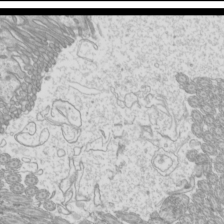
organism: Mouse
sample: Cilia; mouse epididymis